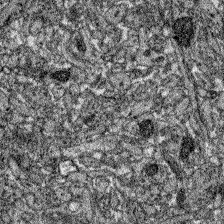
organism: Zebrafish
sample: Larval olfactory bulb